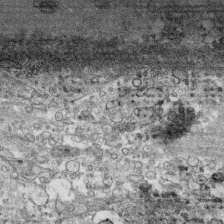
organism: Human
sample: CRL-1474